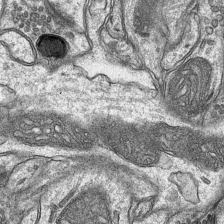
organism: Mouse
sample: CA1 Hippocampus